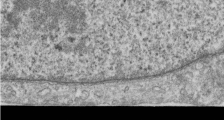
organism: Human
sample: Centriole in RPE cells